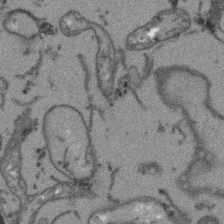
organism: Arabidopsis thaliana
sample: Root tip